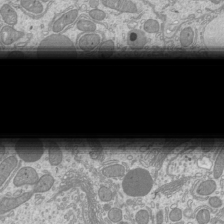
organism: Mouse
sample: Cilia; mouse epididymis